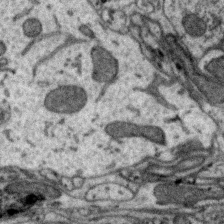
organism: Zebra finch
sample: Brain